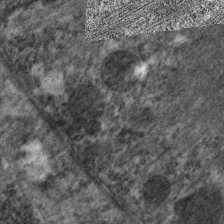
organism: C. elegans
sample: Pharynx